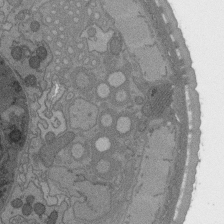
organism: C. elegans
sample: AFD neurons C. elegans